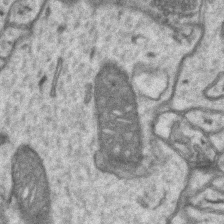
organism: Mouse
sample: CA1 Hippocampus